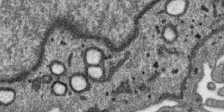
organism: Human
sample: Lung epithelial cells infected with SARS-CoV-2